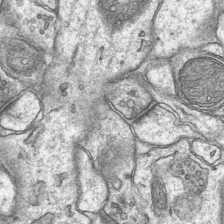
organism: Mouse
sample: CA1 Hippocampus